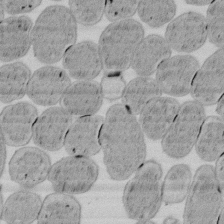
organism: E. coli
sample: Bacterial nucleoid